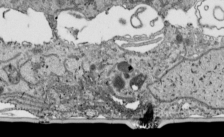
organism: Human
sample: Mitochondria in HCT116 cells